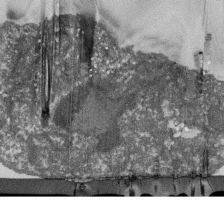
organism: Dictyostelium discoideum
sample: Dictyostelium multivesicular bodies